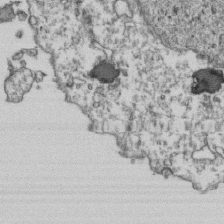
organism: Human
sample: Activated Jurkat CD4+ T cells